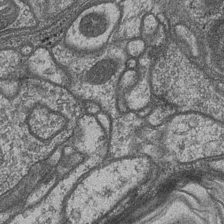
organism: Drosophila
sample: Optic medulla